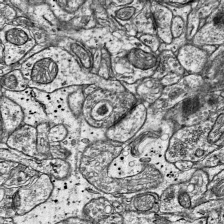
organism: Mouse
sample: Visual Cortex